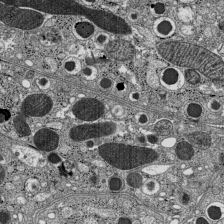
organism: C57BL Mouse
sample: Pancreatic islet